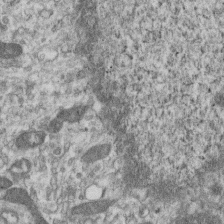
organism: Mouse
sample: Centriole in ependymal cells